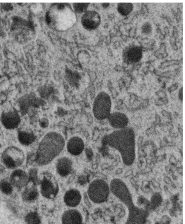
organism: C. elegans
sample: C. elegans oocyte; sperm cells